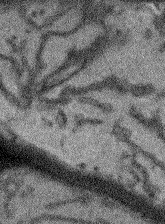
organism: Arabidopsis thaliana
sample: Root tip